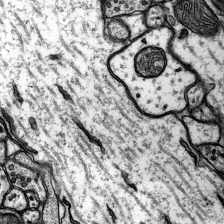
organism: Rat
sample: Hippocampus